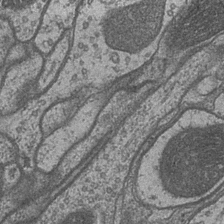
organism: Drosophila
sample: Optic medulla